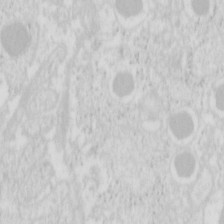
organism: Mouse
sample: Pancreas